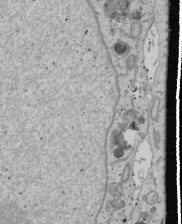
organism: Human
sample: Mitochondria in U2OS cells